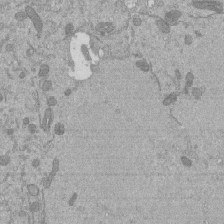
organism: Mouse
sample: ED-1 cell nuclei; centrioles